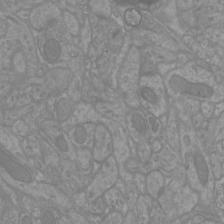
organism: Mouse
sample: Cortical neurons